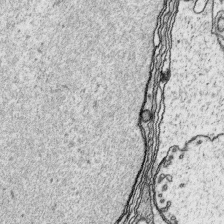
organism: Platynereis dumerilii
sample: Parapodia